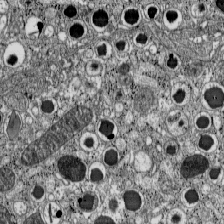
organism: C57BL Mouse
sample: Pancreatic islet